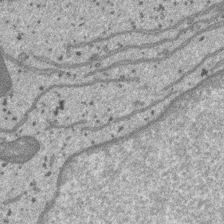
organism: Human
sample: Lung epithelial cells infected with SARS-CoV-2